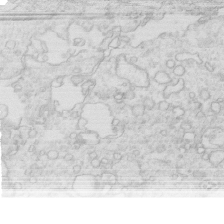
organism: Mouse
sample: Multiciliated cells